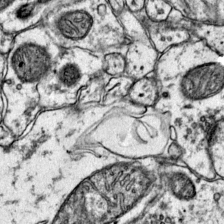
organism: Mouse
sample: Primary visual cortex